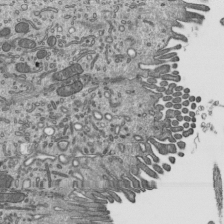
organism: Mouse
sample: Mouse epididymis efferent ductule cilia